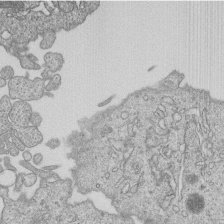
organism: Human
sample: MDA-MB-231 cells